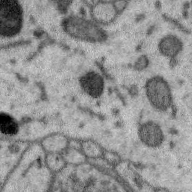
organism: Zebra finch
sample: Brain